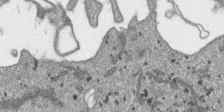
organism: Human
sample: Lung epithelial cells infected with SARS-CoV-2